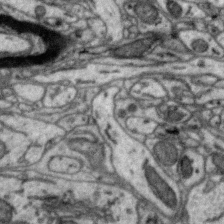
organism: Zebra finch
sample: Brain